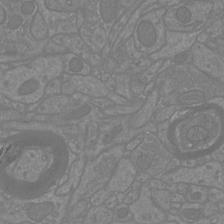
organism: Mouse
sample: Cortical neurons